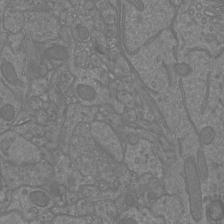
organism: Mouse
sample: Cortical neurons